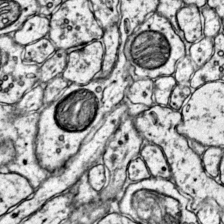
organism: Mouse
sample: Primary visual cortex